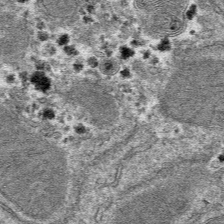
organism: Mouse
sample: Mouse hepatocytes